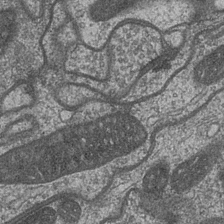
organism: Drosophila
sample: Optic medulla